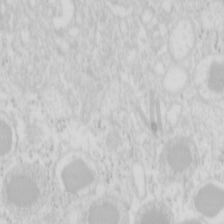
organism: Mouse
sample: Pancreas